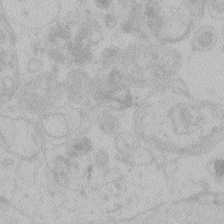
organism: Zebrafish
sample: Macrophage infected with Toxoplasma gondii